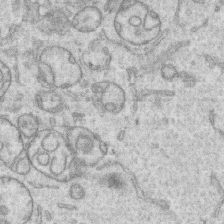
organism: Human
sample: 1205lu cells